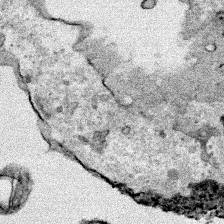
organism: Human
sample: Mitochondria in HCT116 cells